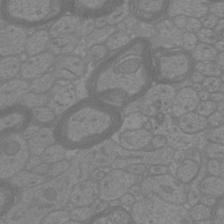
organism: Mouse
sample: Cortical neurons